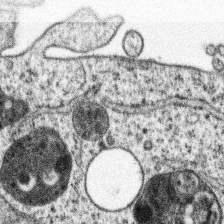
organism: Human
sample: HeLa cells